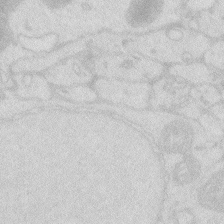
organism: Zebrafish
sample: Macrophage